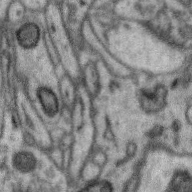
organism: Zebra finch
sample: Brain